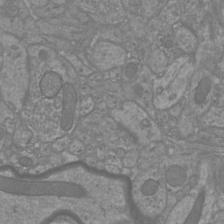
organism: Mouse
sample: Cortical neurons